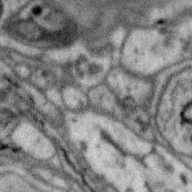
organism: Zebra finch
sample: Brain